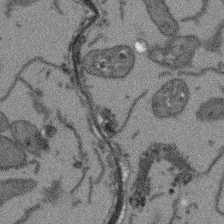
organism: Arabidopsis thaliana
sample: Root tip